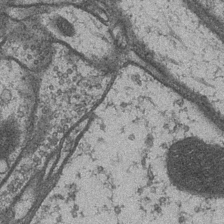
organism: Drosophila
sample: Optic medulla